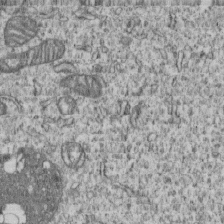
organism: Human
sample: MDA-MB-231 cells